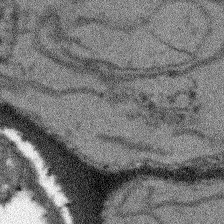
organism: Arabidopsis thaliana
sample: Root tip